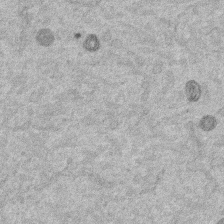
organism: Mouse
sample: Dividing mouse embryo 1 cell stage